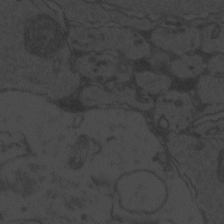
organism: Zebrafish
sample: Macrophage infected with Toxoplasma gondii